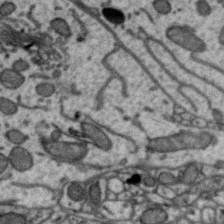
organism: Zebra finch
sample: Brain